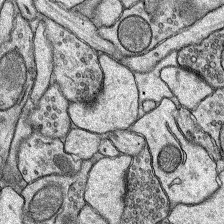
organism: Rat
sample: Hippocampus